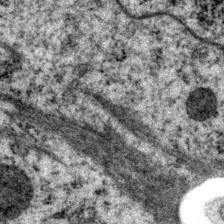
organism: P. pacificus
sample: Pharynx